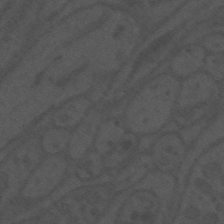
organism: Mouse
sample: Suprachiasmatic nucleus